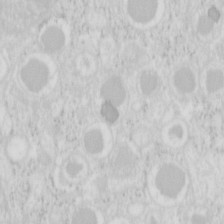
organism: Mouse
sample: Pancreas